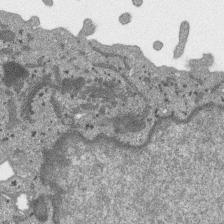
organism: Human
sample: Lung epithelial cells infected with SARS-CoV-2